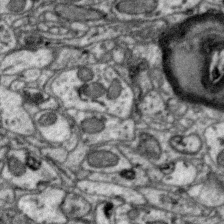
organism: Zebra finch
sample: Brain